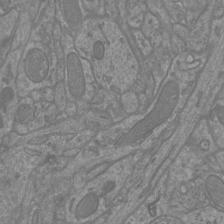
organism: Mouse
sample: Cortical neurons